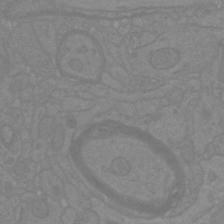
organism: Mouse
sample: Cortical neurons